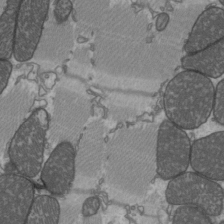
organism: C57BL Mouse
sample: Heart